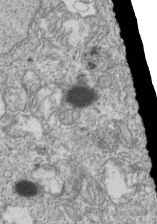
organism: Human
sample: HeLa cell HIV synapse